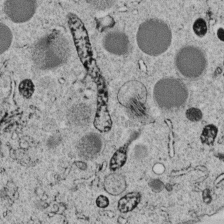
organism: C. elegans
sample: C. elegans embryo early stage